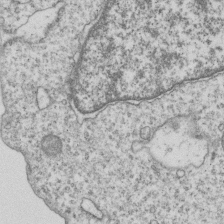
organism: Human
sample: MDA-MB-231 cells